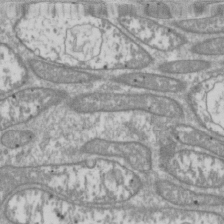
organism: Drosophila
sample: Cell division; meiosis; drosophila spermatocytes